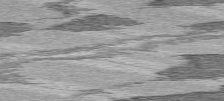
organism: C57BL Mouse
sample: Heart